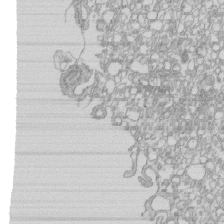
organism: Mouse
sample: Macrophages